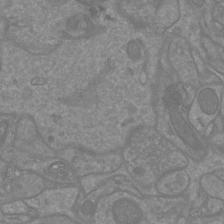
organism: Mouse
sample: Cortical neurons